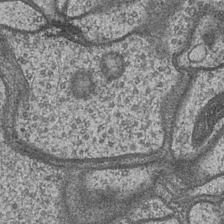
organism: Drosophila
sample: Optic medulla